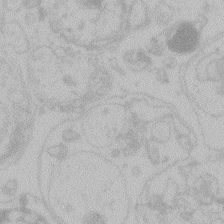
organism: Zebrafish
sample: Macrophage infected with Toxoplasma gondii